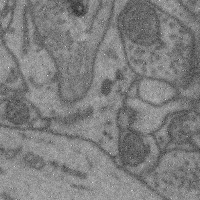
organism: Mouse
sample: Cerebral cortex